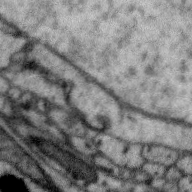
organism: Zebra finch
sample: Brain